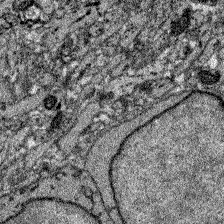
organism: Zebrafish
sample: Larval olfactory bulb